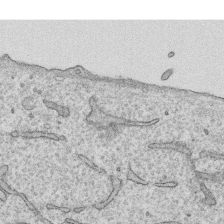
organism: Human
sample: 1205lu cells